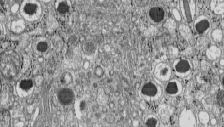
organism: C57BL Mouse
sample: Pancreatic islet